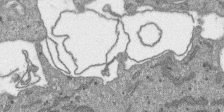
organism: Human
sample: Lung epithelial cells infected with SARS-CoV-2